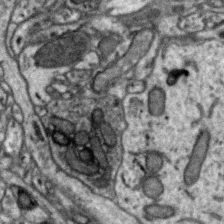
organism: Zebra finch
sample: Brain